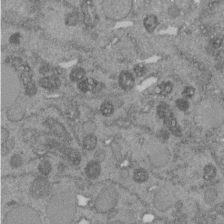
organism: C. elegans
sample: C. elegans embryo early stage